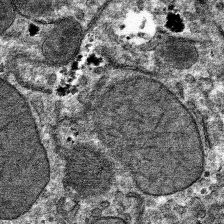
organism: Mouse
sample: Mouse hepatocytes